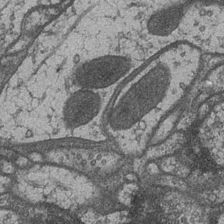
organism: Drosophila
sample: Optic medulla